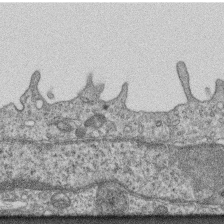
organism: Mouse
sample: Centriole in ependymal cells